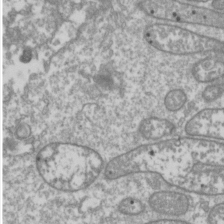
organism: Drosophila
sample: Cell division; meiosis; drosophila spermatocytes